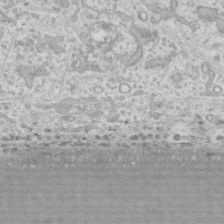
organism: Human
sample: CRL-1474